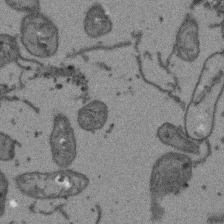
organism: Arabidopsis thaliana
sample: Root tip